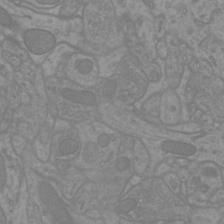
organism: Mouse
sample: Cortical neurons